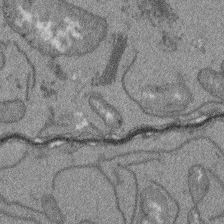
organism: Arabidopsis thaliana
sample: Root tip